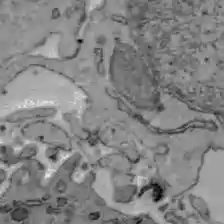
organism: C57BL Mouse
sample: Liver